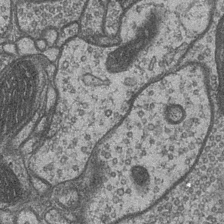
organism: Drosophila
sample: Optic medulla